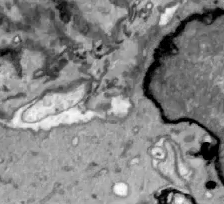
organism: Zebrafish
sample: Actinotrichia fibers